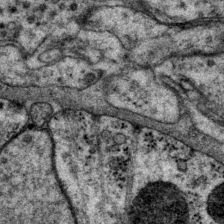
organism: P. pacificus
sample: Pharynx